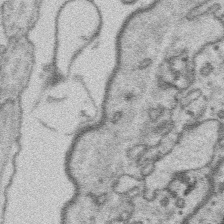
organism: Platynereis dumerilii